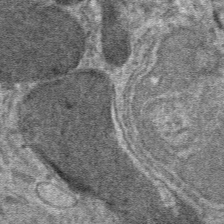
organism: Mouse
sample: Mouse hepatocytes